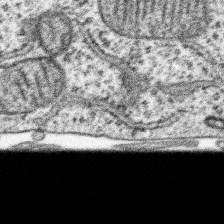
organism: Human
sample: HeLa cells